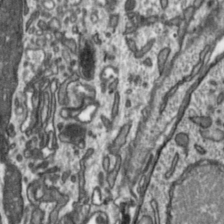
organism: Toxoplasma gondii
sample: Parasites in a vacuole inside a host cell